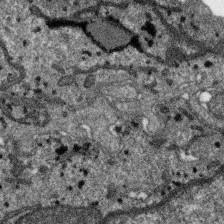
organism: Human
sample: Lung epithelial cells infected with SARS-CoV-2